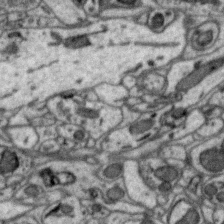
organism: Zebra finch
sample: Brain